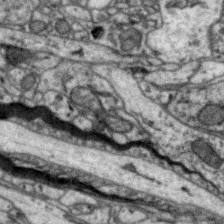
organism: Zebra finch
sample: Brain